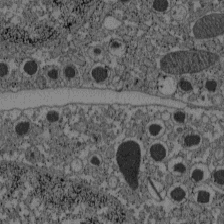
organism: C57BL Mouse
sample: Pancreatic islet